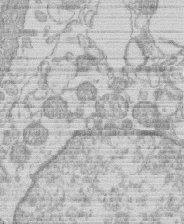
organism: Human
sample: Macrophage cells